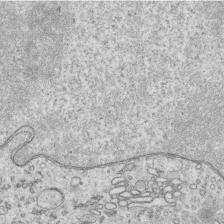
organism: Human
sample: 1205lu cells